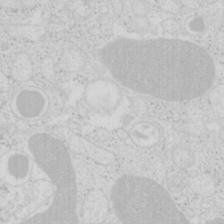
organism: Mouse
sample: Pancreas